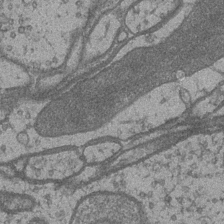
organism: Drosophila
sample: Optic medulla